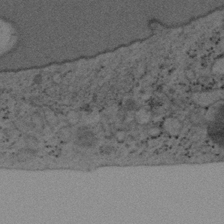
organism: Human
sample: HeLa cells